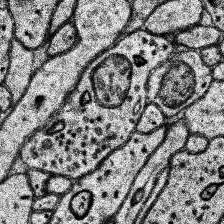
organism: Human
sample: Temporal Lobe